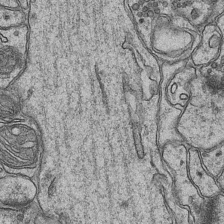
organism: Mouse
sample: CA1 Hippocampus